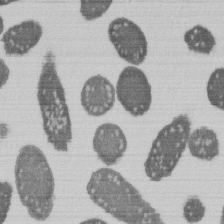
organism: E. coli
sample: Bacterial nucleoid